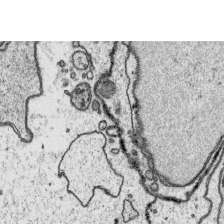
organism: Platynereis dumerilii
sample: Parapodia